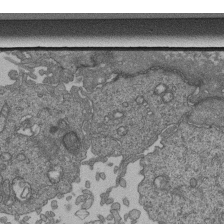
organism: Human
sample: Retinal organoid Rod and Cone cells